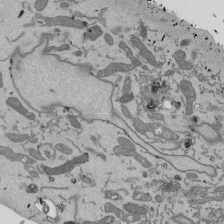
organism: Mouse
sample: ED-1 cell nuclei; centrioles